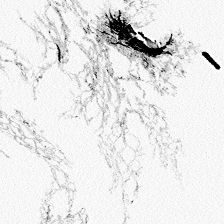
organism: Zebrafish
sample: Whole-Brain